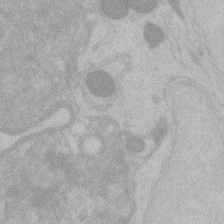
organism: Zebrafish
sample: Macrophage infected with Toxoplasma gondii